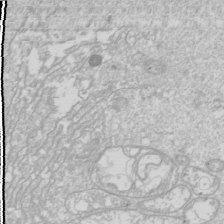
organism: Drosophila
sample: Cell division; meiosis; drosophila spermatocytes